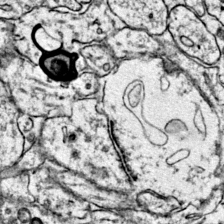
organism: Mouse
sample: Primary visual cortex